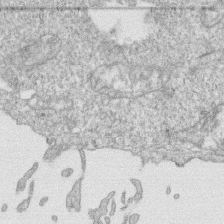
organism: Human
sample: HeLa cell HIV synapse